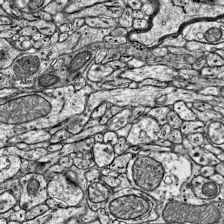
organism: Mouse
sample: Visual Cortex